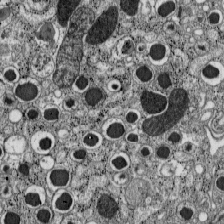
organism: C57BL Mouse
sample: Pancreatic islet